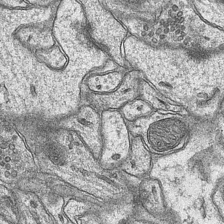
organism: Mouse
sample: CA1 Hippocampus